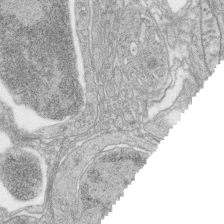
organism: Zebrafish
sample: synaptic ribbons in rod cells and cone cells